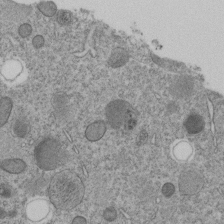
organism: C. elegans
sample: C. elegans embryo early stage